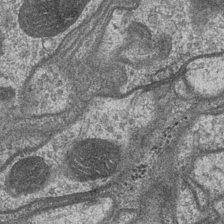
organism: Drosophila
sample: Optic medulla